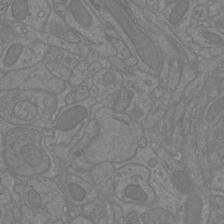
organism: Mouse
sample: Cortical neurons